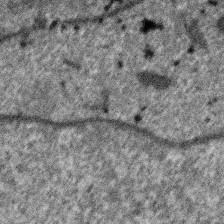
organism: Human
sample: Lung epithelial cells infected with SARS-CoV-2